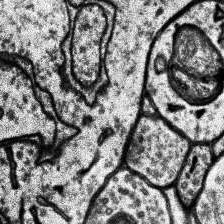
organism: Human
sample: Temporal Lobe